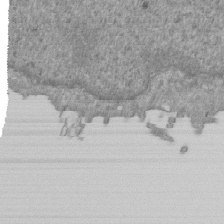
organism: Mouse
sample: ED-1 cell nuclei; centrioles